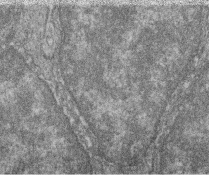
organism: Zebrafish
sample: Cilia; retinal pigment epithelium